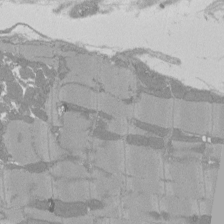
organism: Rat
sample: Left ventricle